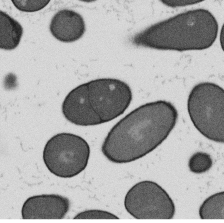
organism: B. subtilis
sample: Bacterial spore